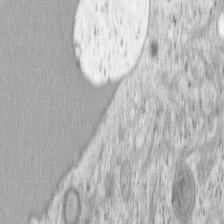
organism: Human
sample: HeLa cells